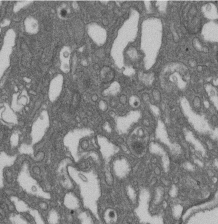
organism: Drosophila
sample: Nephrocyte